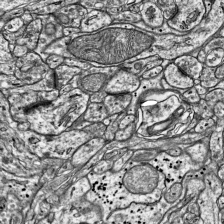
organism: Mouse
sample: Visual Cortex